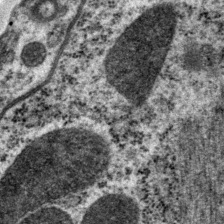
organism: P. pacificus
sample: Pharynx